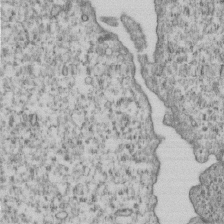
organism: Human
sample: MDA-MB-231 cells